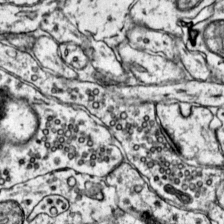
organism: Mouse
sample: Primary visual cortex